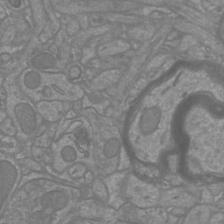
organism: Mouse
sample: Cortical neurons